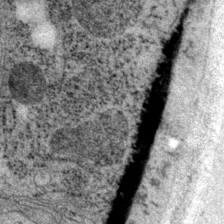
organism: P. pacificus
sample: Pharynx